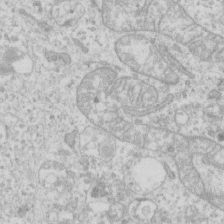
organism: Human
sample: Fibroblast cells